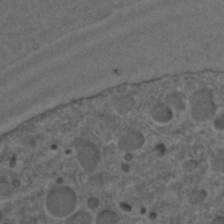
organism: C. elegans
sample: C. elegans embryo